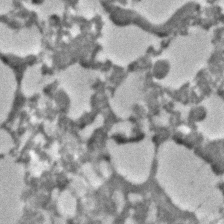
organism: C. elegans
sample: C. elegans embryo